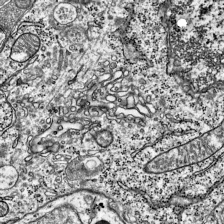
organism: Mouse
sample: Visual Cortex